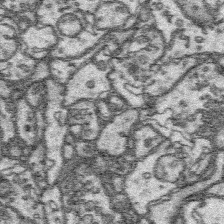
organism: Platynereis dumerilii